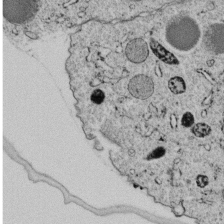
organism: C. elegans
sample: C. elegans embryo early stage